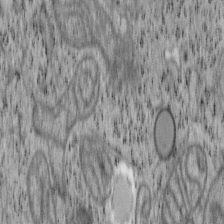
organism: Human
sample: HeLa cells